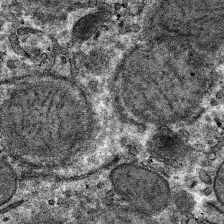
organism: Mouse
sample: Mouse hepatocytes